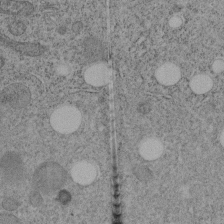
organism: C. elegans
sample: C. elegans embryo early stage